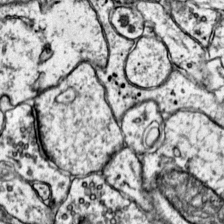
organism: Mouse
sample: Primary visual cortex